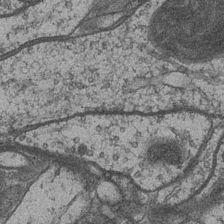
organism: Drosophila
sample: Optic medulla